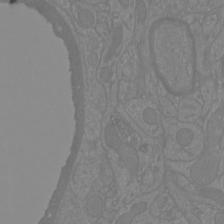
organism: Mouse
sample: Cortical neurons